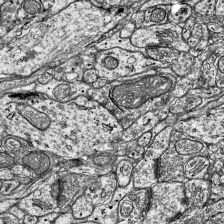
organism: Mouse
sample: Visual Cortex